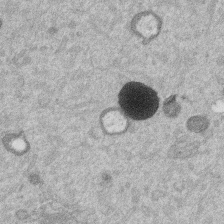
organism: Mouse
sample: Dividing mouse embryo 1 cell stage